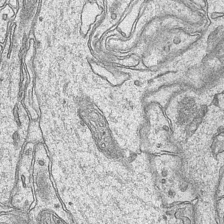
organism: Mouse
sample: CA1 Hippocampus